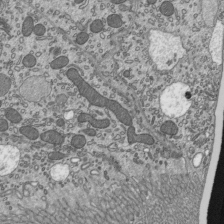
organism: Mouse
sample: Mouse epididymis efferent ductule cilia